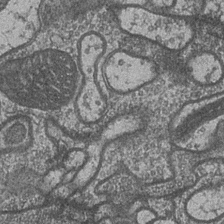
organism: Drosophila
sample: Optic medulla